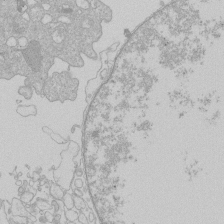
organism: Human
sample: Macrophage cells